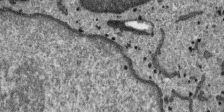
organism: Human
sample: Lung epithelial cells, uninfected (mock) control